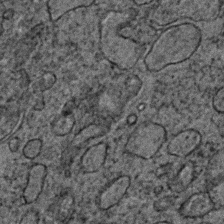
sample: Trachea